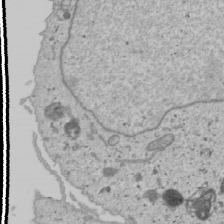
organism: Human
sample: Mitochondria in U2OS cells